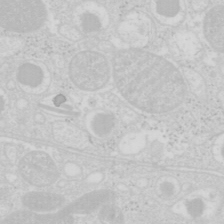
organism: Mouse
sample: Pancreas